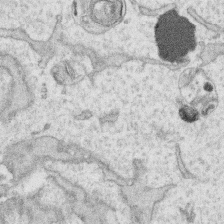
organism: Human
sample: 1205lu cells